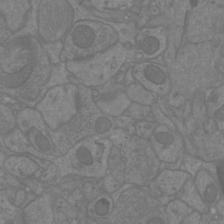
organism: Mouse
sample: Cortical neurons